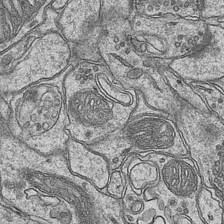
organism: Mouse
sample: CA1 Hippocampus